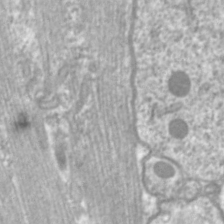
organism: C. elegans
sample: Pharynx